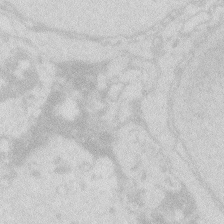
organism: Zebrafish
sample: Macrophage